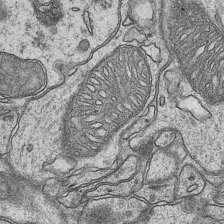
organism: Mouse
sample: CA1 Hippocampus